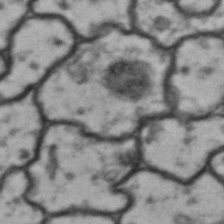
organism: Drosophila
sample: Brain